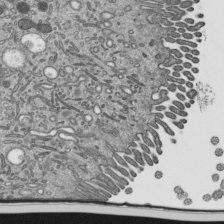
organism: Mouse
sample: Mouse epididymis efferent ductule cilia